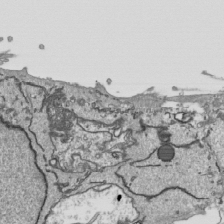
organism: Human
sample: Mitochondria in HCT116 cells